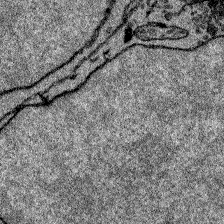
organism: Zebrafish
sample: Larval olfactory bulb